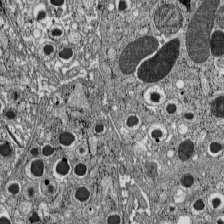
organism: C57BL Mouse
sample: Pancreatic islet